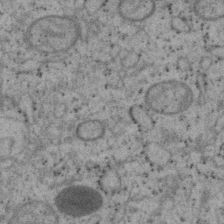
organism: Human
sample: HeLa cells